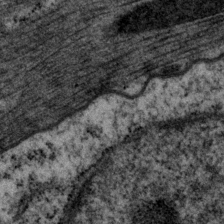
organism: P. pacificus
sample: Pharynx